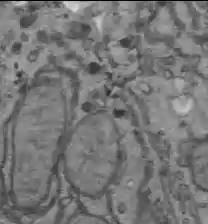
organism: C57BL Mouse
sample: Liver